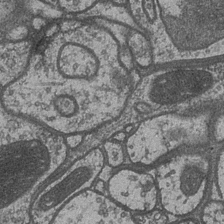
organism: Drosophila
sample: Optic medulla